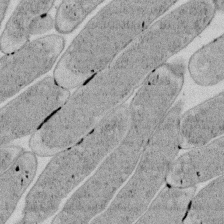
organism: E. coli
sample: Bacterial nucleoid